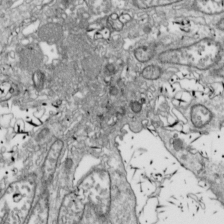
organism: Drosophila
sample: Cell division; meiosis; drosophila spermatocytes